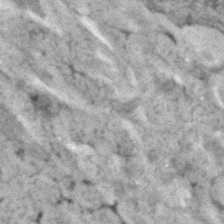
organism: Human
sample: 1205lu cells